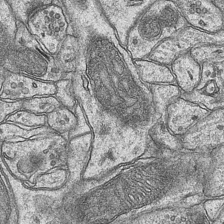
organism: Mouse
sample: CA1 Hippocampus